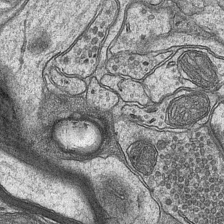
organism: Mouse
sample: CA1 Hippocampus